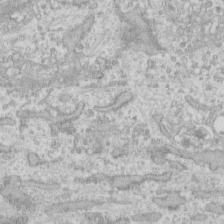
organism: Human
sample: Fibroblast cells